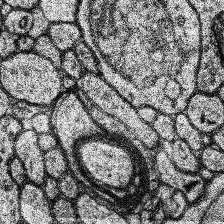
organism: Human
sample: Temporal Lobe